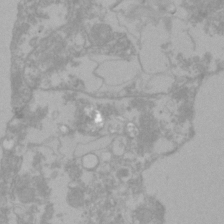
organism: Zebrafish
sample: Zebrafish embryo